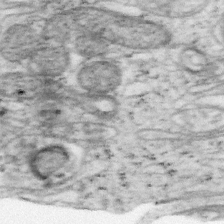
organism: Mouse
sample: OT-I killer T cells with ID8 ovarian cancer cells